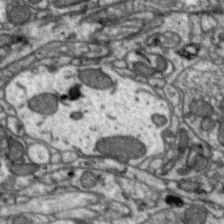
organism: Zebra finch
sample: Brain